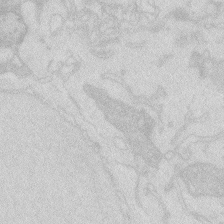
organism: Zebrafish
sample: Macrophage